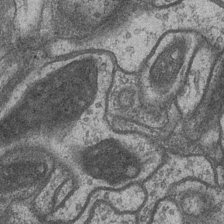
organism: Drosophila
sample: Optic medulla